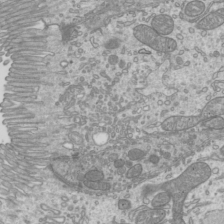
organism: Mouse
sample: Cilia; mouse epididymis